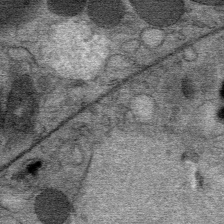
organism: Mouse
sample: Mouse Salivary gland